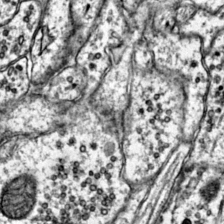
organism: Mouse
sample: Primary visual cortex